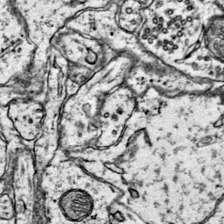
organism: Mouse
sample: Primary visual cortex